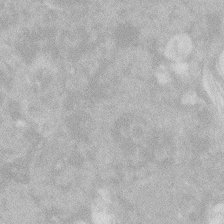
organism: Zebrafish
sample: Macrophage